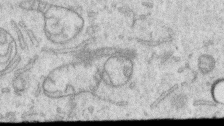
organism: Human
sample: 1205lu cells